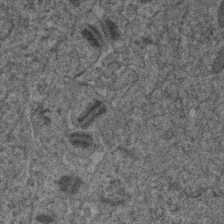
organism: Human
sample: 1205lu cells